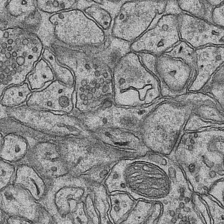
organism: Mouse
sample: CA1 Hippocampus